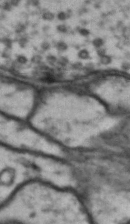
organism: Drosophila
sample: Brain